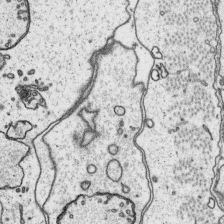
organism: Platynereis dumerilii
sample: Parapodia